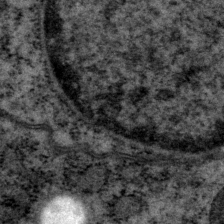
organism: P. pacificus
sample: Pharynx